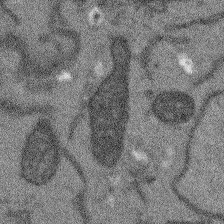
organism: Arabidopsis thaliana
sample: Root tip